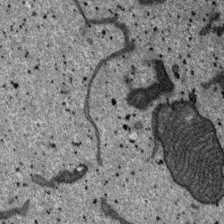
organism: Human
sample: Lung epithelial cells, uninfected (mock) control